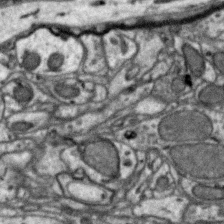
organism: Zebra finch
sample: Brain